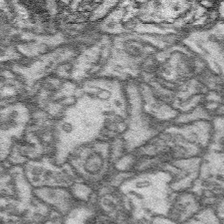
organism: Platynereis dumerilii